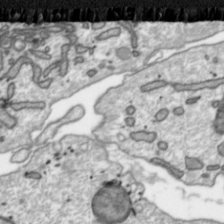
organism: Toxoplasma gondii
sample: Parasites in a vacuole inside a host cell